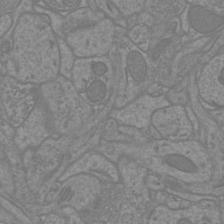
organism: Mouse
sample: Cortical neurons